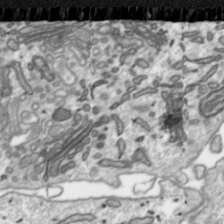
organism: Toxoplasma gondii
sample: Parasites in a vacuole inside a host cell